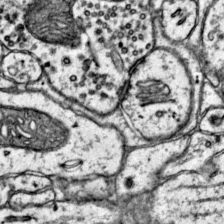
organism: Mouse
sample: Primary visual cortex